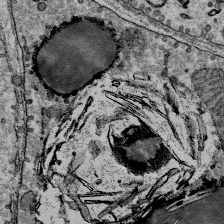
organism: Mouse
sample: Mouse Salivary gland